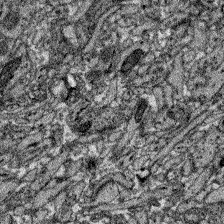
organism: Zebrafish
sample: Larval olfactory bulb